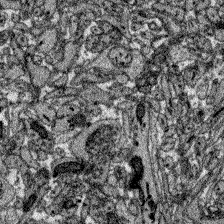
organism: Zebrafish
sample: Larval olfactory bulb